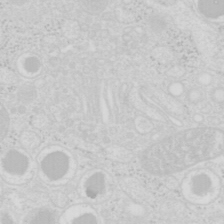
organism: Mouse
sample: Pancreas